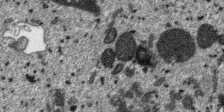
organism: Human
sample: Lung epithelial cells infected with SARS-CoV-2